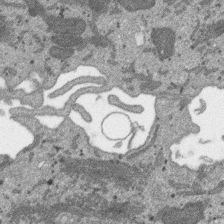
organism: Human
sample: Lung epithelial cells infected with SARS-CoV-2